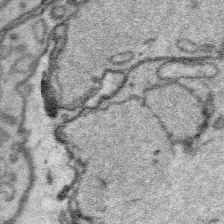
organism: Platynereis dumerilii